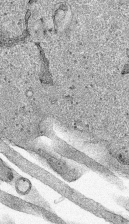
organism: Human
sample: Mitochondria in HCT116 cells